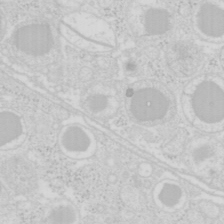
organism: Mouse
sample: Pancreas